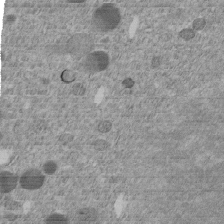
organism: C. elegans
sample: C. elegans embryo early stage